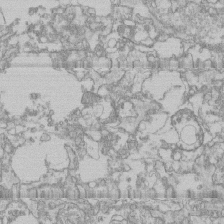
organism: Human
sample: CRL-1474